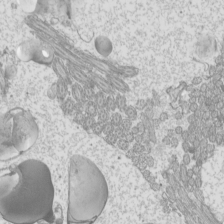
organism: Mouse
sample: Cilia; mouse epididymis